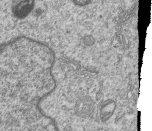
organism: Human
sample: MDA-MB-231 cells